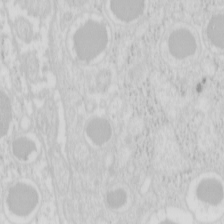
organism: Mouse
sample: Pancreas